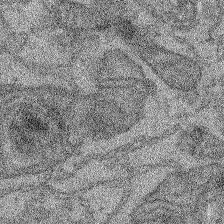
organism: Human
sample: HeLa cells